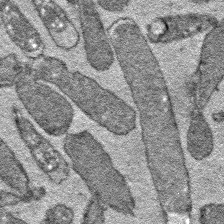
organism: E. coli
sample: E. Coli Bacteria